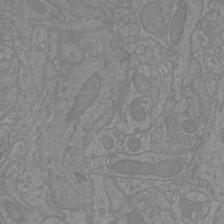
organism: Mouse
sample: Cortical neurons